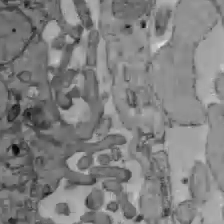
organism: C57BL Mouse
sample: Liver